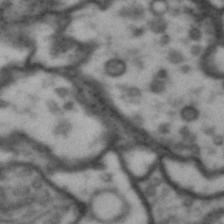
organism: Drosophila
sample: Brain